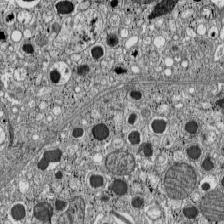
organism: C57BL Mouse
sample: Pancreatic islet